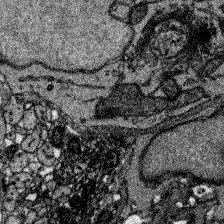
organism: Zebrafish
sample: Larval olfactory bulb